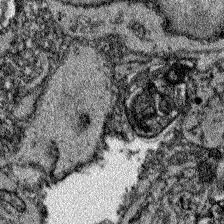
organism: Zebrafish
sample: Larval olfactory bulb